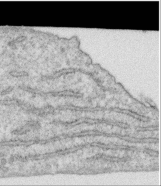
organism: Human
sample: Centriole in RPE cells